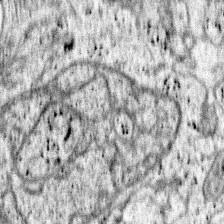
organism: Human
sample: HeLa cells